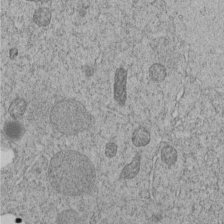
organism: C. elegans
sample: C. elegans embryo early stage